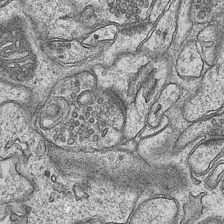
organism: Mouse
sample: CA1 Hippocampus